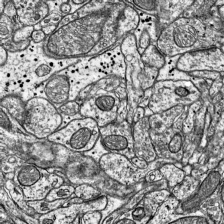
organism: Mouse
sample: Visual Cortex